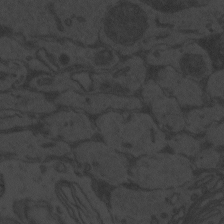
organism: Zebrafish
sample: Macrophage infected with Toxoplasma gondii